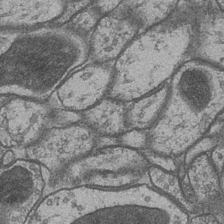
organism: Drosophila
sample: Optic medulla